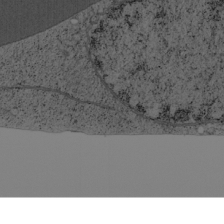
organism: African green monkey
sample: COS-7 cells